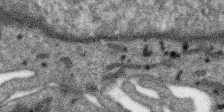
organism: Human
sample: Lung epithelial cells infected with SARS-CoV-2